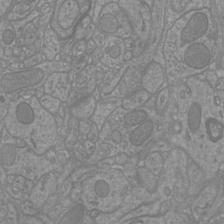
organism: Mouse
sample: Cortical neurons